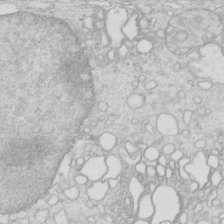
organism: Mouse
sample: Multiciliated cells